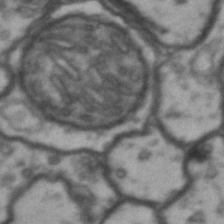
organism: Drosophila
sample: Brain